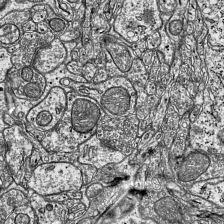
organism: Mouse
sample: Visual Cortex